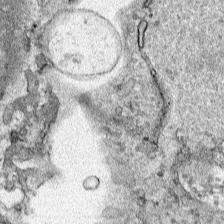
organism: Human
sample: Mitochondria in HCT116 cells